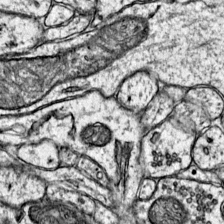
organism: Mouse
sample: Primary visual cortex